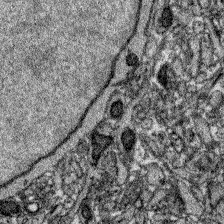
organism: Zebrafish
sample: Larval olfactory bulb